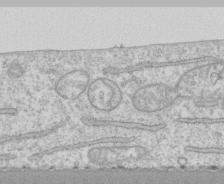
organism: Human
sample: CRL-1474